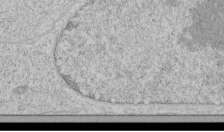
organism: Human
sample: Mitochondria in HCT116 cells